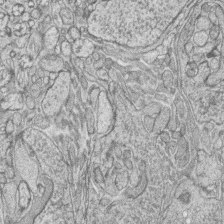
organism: Zebrafish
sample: synaptic ribbons in rod cells and cone cells